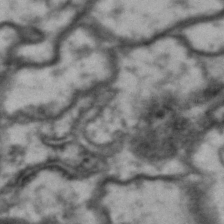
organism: Drosophila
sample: Brain